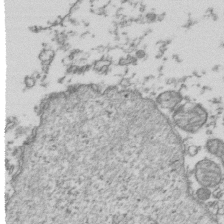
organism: Human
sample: Activated Jurkat CD4+ T cells